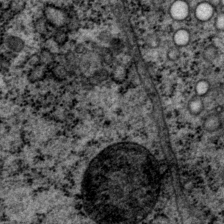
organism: P. pacificus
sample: Pharynx